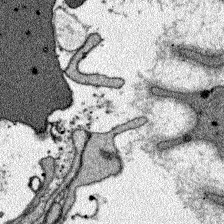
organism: Zebrafish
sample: Larval olfactory bulb